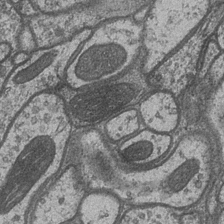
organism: Drosophila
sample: Optic medulla